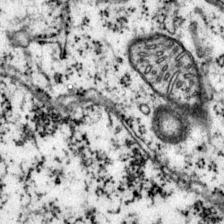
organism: Mouse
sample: Primary visual cortex